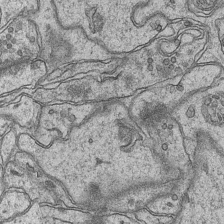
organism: Mouse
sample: CA1 Hippocampus